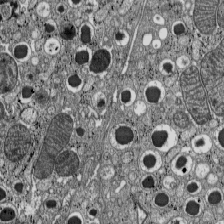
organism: C57BL Mouse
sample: Pancreatic islet